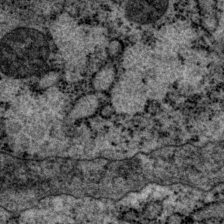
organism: P. pacificus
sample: Pharynx